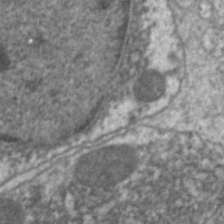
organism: C. elegans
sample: Pharynx